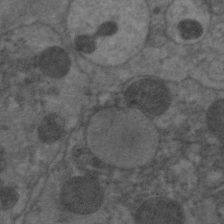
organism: C. elegans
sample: Pharynx